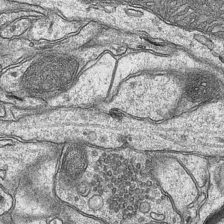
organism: Mouse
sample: CA1 Hippocampus